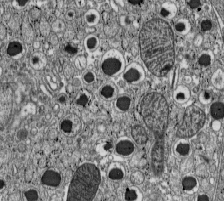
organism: C57BL Mouse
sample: Pancreatic islet